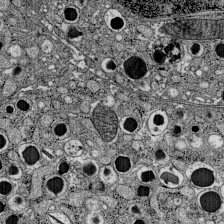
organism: C57BL Mouse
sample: Pancreatic islet